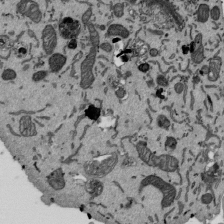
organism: Mouse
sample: ED-1 cell nuclei; centrioles